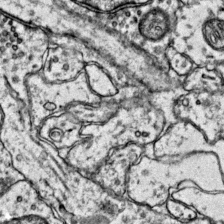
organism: Mouse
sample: Primary visual cortex